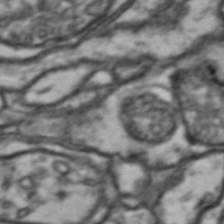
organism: Drosophila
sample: Brain